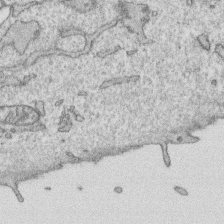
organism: Human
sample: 1205lu cells